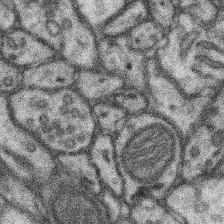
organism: Mouse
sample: Somatosensory cortex neuropil